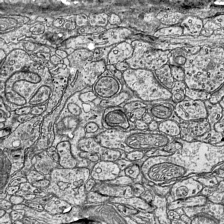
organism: Mouse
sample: Visual Cortex